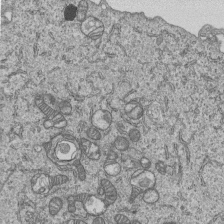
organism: Human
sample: MDA-MB-231 cells